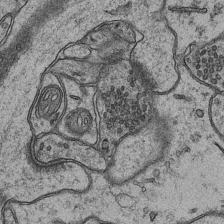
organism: Mouse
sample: CA1 Hippocampus